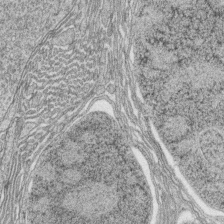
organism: Zebrafish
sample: synaptic ribbons in rod cells and cone cells